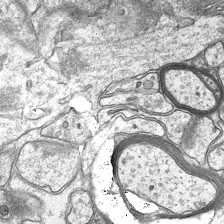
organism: Mouse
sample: CA1 Hippocampus